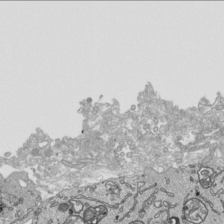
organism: Human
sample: Mitochondria in HCT116 cells